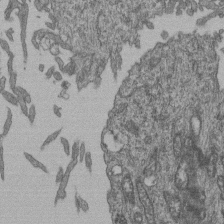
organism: Human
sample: Retinal organoid Rod and Cone cells